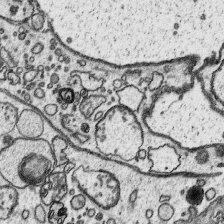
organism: Platynereis dumerilii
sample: Parapodia